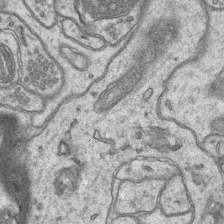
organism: Mouse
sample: CA1 Hippocampus